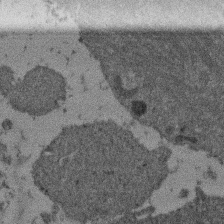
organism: Mouse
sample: Dividing mouse embryo 1 cell stage